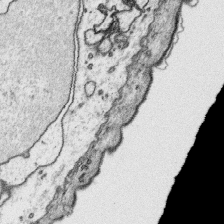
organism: Platynereis dumerilii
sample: Parapodia